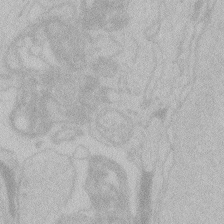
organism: Zebrafish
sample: Macrophage infected with Toxoplasma gondii